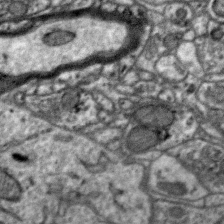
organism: Zebra finch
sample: Brain